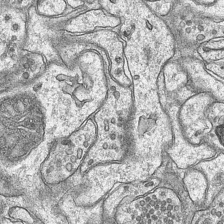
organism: Mouse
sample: CA1 Hippocampus